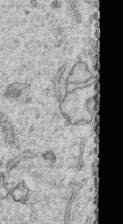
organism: Human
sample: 1205lu cells